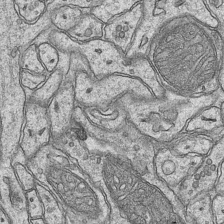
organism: Mouse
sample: CA1 Hippocampus